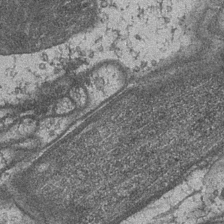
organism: Drosophila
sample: Optic medulla